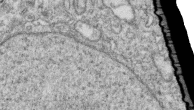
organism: Human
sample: HeLa cell HIV synapse